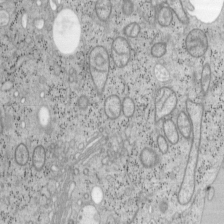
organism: Mouse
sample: OT-I killer T cells with ID8 ovarian cancer cells